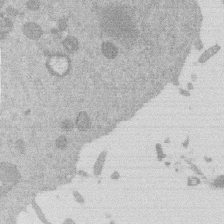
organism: Mouse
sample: Dividing mouse embryo 1 cell stage